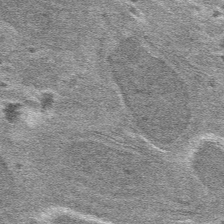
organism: Mouse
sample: Mouse hepatocytes